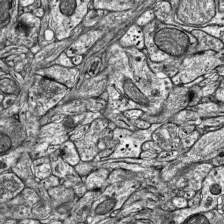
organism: Mouse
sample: Visual Cortex